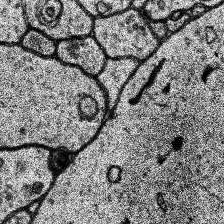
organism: Human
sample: Temporal Lobe